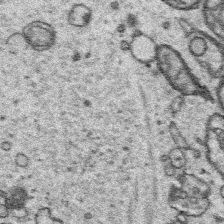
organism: Platynereis dumerilii